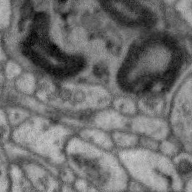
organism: Zebra finch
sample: Brain